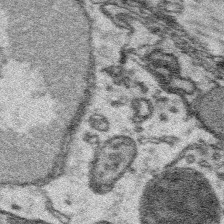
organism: Platynereis dumerilii